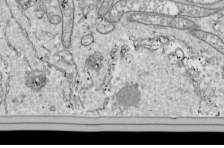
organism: Drosophila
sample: Cell division; meiosis; drosophila spermatocytes